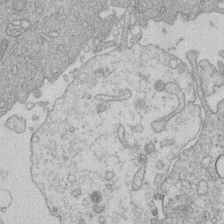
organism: Human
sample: Macrophage cells